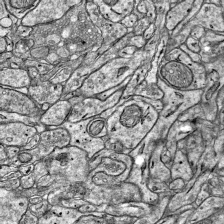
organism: Mouse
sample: Visual Cortex